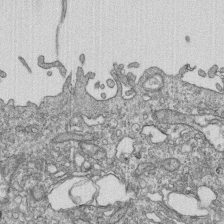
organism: Human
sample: HeLa cell HIV synapse